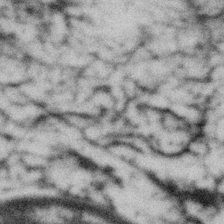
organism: Gemmata obscuriglobus